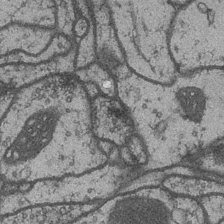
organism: Drosophila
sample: Optic medulla